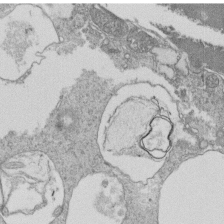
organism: Tetrahymena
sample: Cilia in tetrahymena